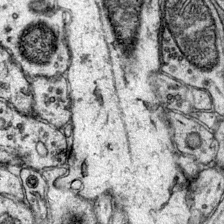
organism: Mouse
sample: Primary visual cortex